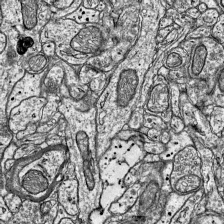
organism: Mouse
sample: Visual Cortex